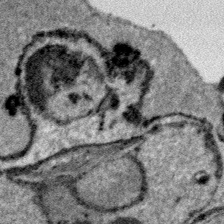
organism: Plasmodium falciparum